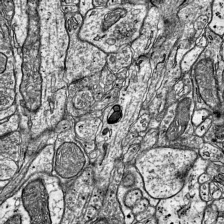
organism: Mouse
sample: Visual Cortex